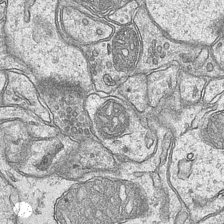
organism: Mouse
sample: CA1 Hippocampus